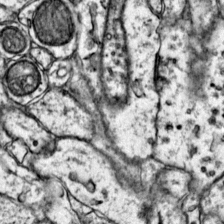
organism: Mouse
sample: Primary visual cortex